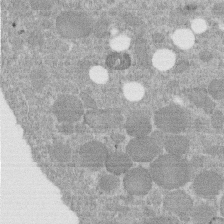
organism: C. elegans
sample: C. elegans embryo early stage